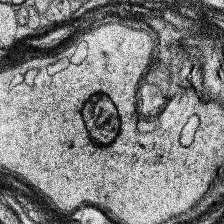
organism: Human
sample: Temporal Lobe